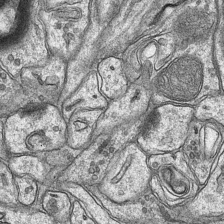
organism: Mouse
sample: CA1 Hippocampus